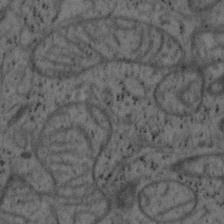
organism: Human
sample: HeLa cells